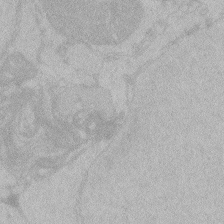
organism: Zebrafish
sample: Macrophage infected with Toxoplasma gondii